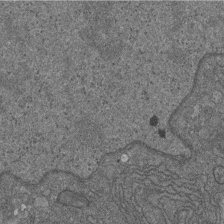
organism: Drosophila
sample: Nephrocyte